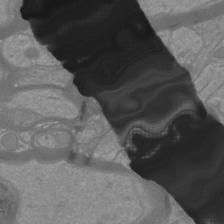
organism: Mouse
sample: Cortical neurons